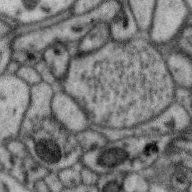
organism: Zebra finch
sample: Brain